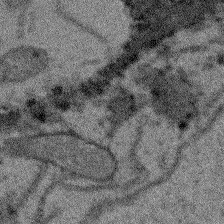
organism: Arabidopsis thaliana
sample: Root tip